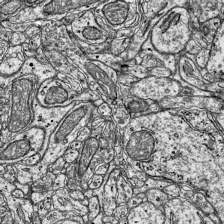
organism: Mouse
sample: Visual Cortex